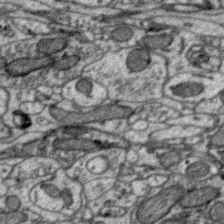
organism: Zebra finch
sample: Brain